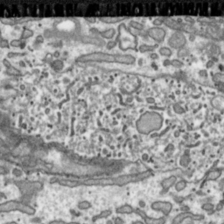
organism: Toxoplasma gondii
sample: Parasites in a vacuole inside a host cell